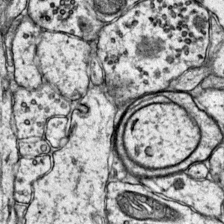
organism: Mouse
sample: Primary visual cortex